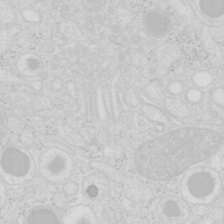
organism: Mouse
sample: Pancreas